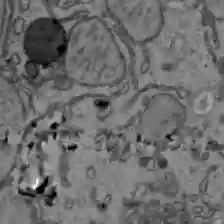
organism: C57BL Mouse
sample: Liver